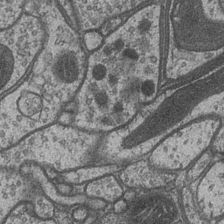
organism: Drosophila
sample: Optic medulla